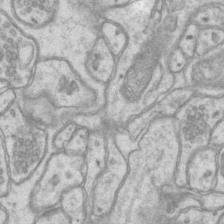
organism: Mouse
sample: CA1 Hippocampus